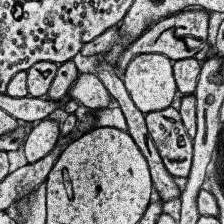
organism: Human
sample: Temporal Lobe